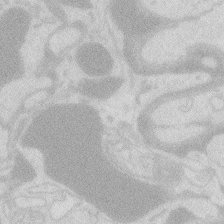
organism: Zebrafish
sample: Macrophage